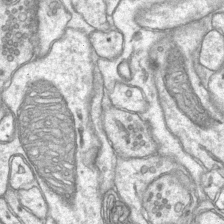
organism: Mouse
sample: CA1 Hippocampus